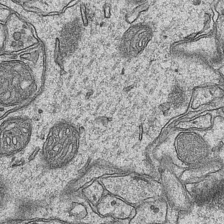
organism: Mouse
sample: CA1 Hippocampus